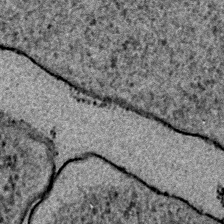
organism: E. coli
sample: E. Coli Bacteria